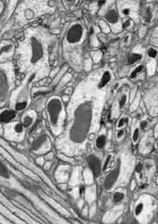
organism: Drosophila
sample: Optic lobe